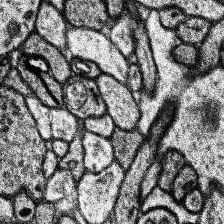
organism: Human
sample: Temporal Lobe